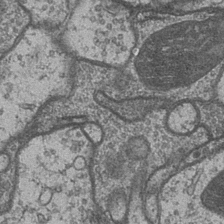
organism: Drosophila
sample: Optic medulla